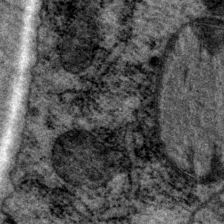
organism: P. pacificus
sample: Pharynx